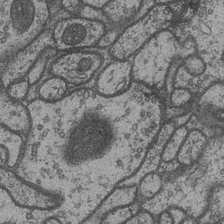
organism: Drosophila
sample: Optic medulla